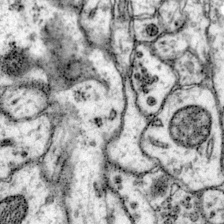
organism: Mouse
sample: Primary visual cortex